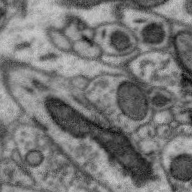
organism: Zebra finch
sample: Brain